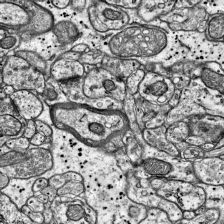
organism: Mouse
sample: Visual Cortex